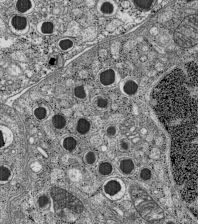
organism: C57BL Mouse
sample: Pancreatic islet